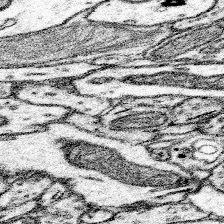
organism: Mouse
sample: Somatosensory cortex neuropil